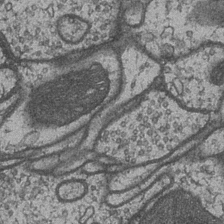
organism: Drosophila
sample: Optic medulla